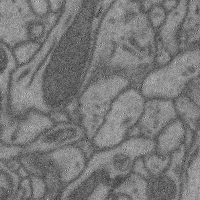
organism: Mouse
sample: Cerebral cortex